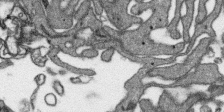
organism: Human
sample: Lung epithelial cells, uninfected (mock) control